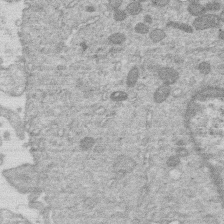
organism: Human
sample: Macrophage cells